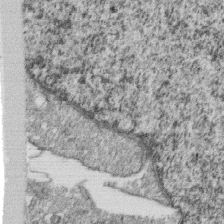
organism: African green monkey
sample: Vero E6 cells infected with SARS-CoV-2